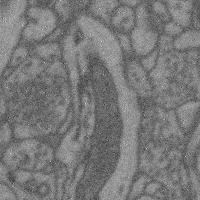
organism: Mouse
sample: Cerebral cortex